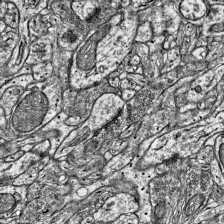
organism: Mouse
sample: Visual Cortex